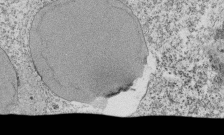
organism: Tetrahymena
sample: Cilia in tetrahymena